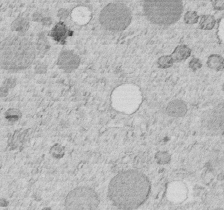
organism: C. elegans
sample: C. elegans embryo early stage